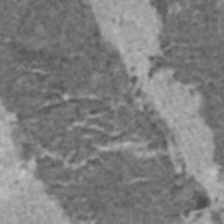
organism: C57BL Mouse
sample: Heart